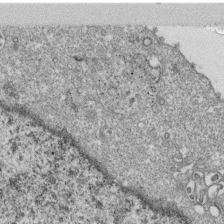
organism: African green monkey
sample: Vero E6 cells infected with SARS-CoV-2